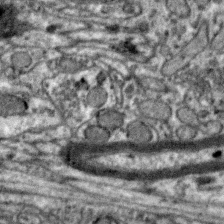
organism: Zebra finch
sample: Brain